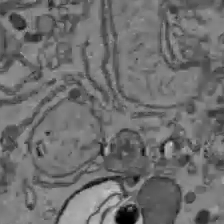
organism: C57BL Mouse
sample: Liver